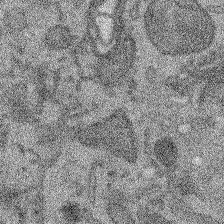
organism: Human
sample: HeLa cells